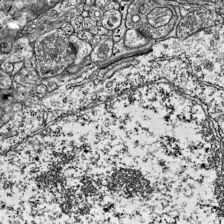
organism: Mouse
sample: Visual Cortex